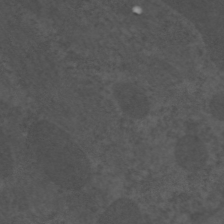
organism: C. elegans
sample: Pharynx